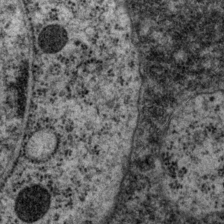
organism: P. pacificus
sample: Pharynx